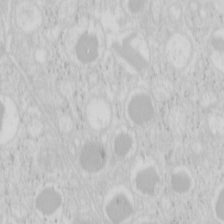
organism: Mouse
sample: Pancreas